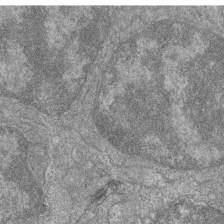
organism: Zebrafish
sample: Cilia; retinal pigment epithelium